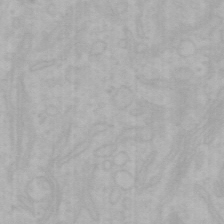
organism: Mouse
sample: Choroid plexus